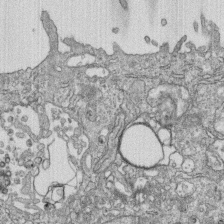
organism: Human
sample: HeLa cell HIV synapse